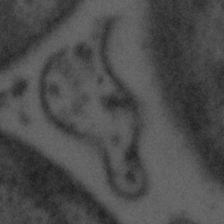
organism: Tuwongella immobilis